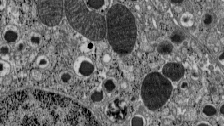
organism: C57BL Mouse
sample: Pancreatic islet